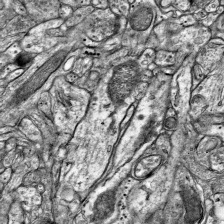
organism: Mouse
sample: Visual Cortex